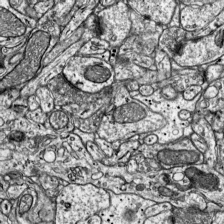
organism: Mouse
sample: Visual Cortex